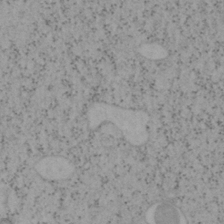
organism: Mouse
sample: OT-I killer T cells with ID8 ovarian cancer cells